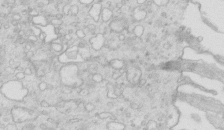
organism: Mouse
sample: Multiciliated cells